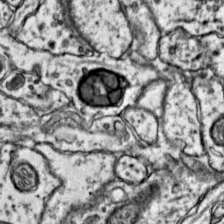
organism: Mouse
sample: Primary visual cortex